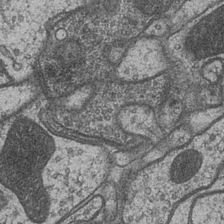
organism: Drosophila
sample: Optic medulla